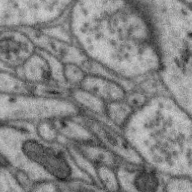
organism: Zebra finch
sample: Brain